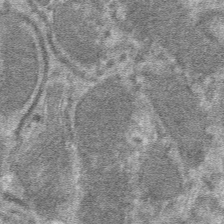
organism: Mouse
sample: Mouse hepatocytes